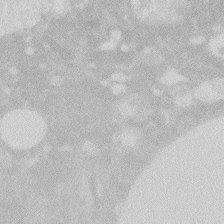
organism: Zebrafish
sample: Macrophage